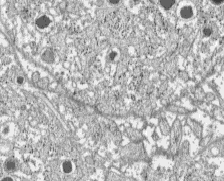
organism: C57BL Mouse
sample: Pancreatic islet